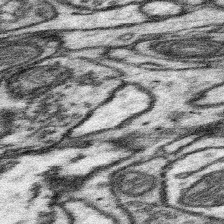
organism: Mouse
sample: Somatosensory cortex neuropil